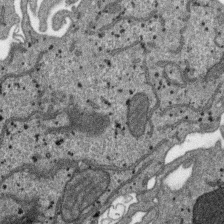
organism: Human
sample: Lung epithelial cells infected with SARS-CoV-2